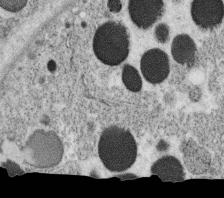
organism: C. elegans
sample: C. elegans oocyte; sperm cells